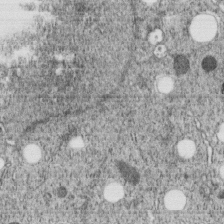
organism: C. elegans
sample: C. elegans embryo early stage